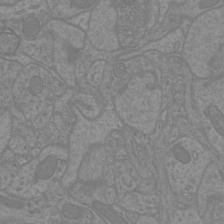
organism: Mouse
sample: Cortical neurons